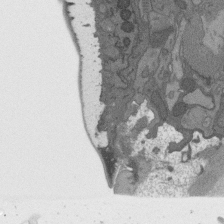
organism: C. elegans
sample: AFD neurons C. elegans